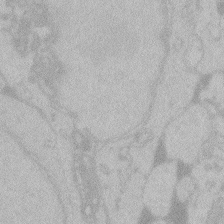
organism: Zebrafish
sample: Macrophage infected with Toxoplasma gondii